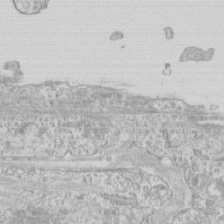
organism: Human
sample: CRL-1474